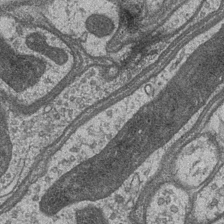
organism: Drosophila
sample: Optic medulla